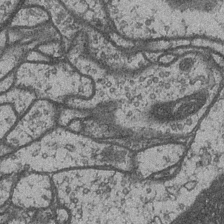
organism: Drosophila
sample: Optic medulla